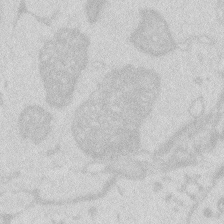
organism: Zebrafish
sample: Macrophage